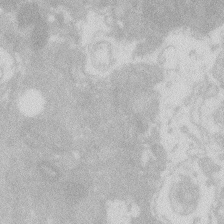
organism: Zebrafish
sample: Macrophage